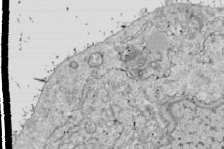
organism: Drosophila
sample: Cell division; meiosis; drosophila spermatocytes